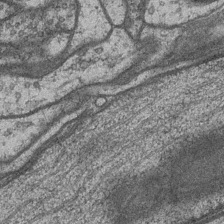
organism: Drosophila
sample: Optic medulla